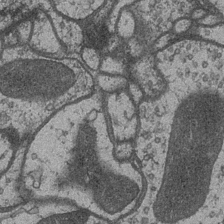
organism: Drosophila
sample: Optic medulla